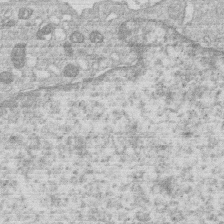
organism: Human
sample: Macrophage cells